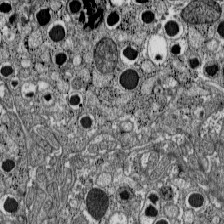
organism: C57BL Mouse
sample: Pancreatic islet